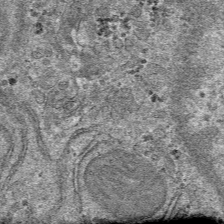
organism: Mouse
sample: Mouse hepatocytes